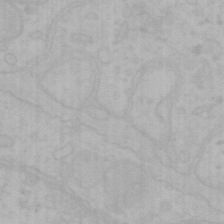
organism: Mouse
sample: Choroid plexus